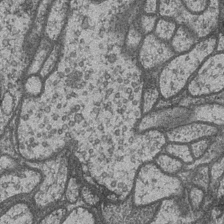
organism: Drosophila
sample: Optic medulla